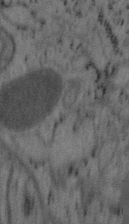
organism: Human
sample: HeLa cells